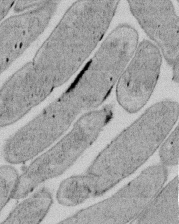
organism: E. coli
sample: Bacterial nucleoid